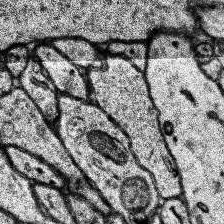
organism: Human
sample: Temporal Lobe